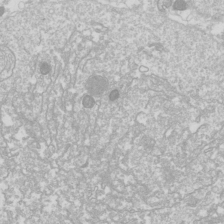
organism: Drosophila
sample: Cell division; meiosis; drosophila spermatocytes